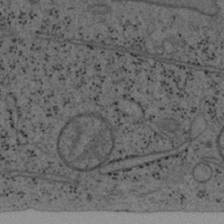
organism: Human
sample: HeLa cells